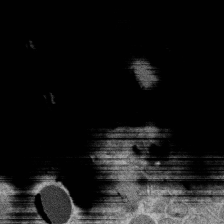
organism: C. elegans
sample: C. elegans oocyte; sperm cells